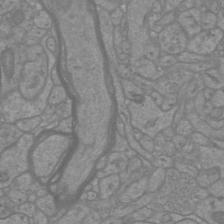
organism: Mouse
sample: Cortical neurons